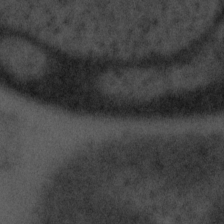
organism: Tuwongella immobilis